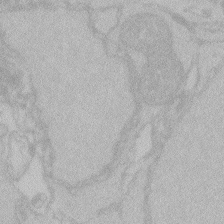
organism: Zebrafish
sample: Macrophage infected with Toxoplasma gondii